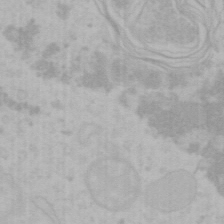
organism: Mouse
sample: Choroid plexus